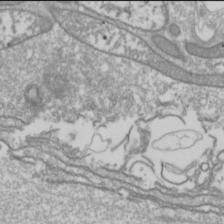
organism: Drosophila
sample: Cell division; meiosis; drosophila spermatocytes